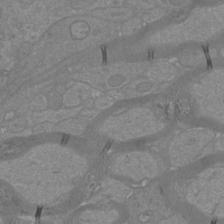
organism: Mouse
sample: Cortical neurons